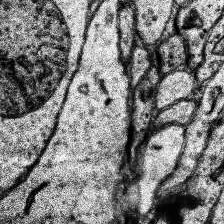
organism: Human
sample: Temporal Lobe